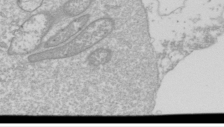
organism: Drosophila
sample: Cell division; meiosis; drosophila spermatocytes